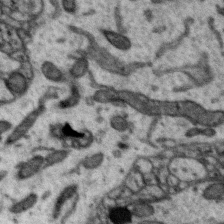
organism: Zebra finch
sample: Brain